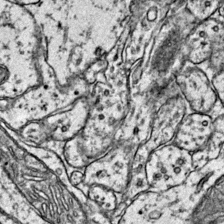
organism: Mouse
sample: Primary visual cortex